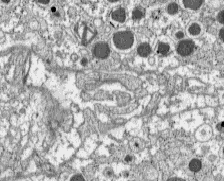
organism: C57BL Mouse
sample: Pancreatic islet